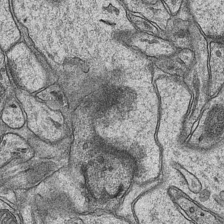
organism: Mouse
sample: CA1 Hippocampus